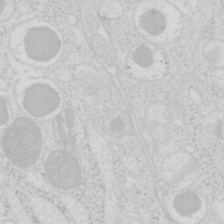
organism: Mouse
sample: Pancreas